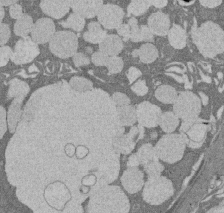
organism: Rat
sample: Salivary granule